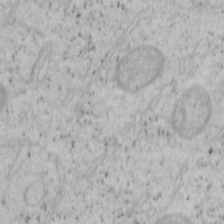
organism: Human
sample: HeLa cells